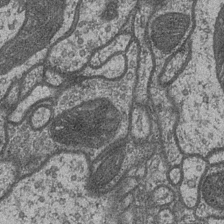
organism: Drosophila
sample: Optic medulla